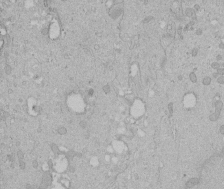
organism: Human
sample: Melanocyte Keratinocyte synapse skin construct